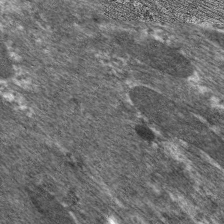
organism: C. elegans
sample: Pharynx